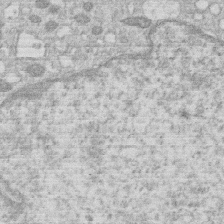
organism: Human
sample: Macrophage cells